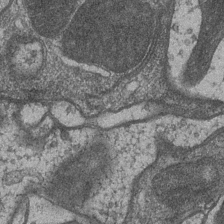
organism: Drosophila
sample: Optic medulla